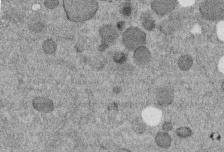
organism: C. elegans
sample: C. elegans embryo early stage